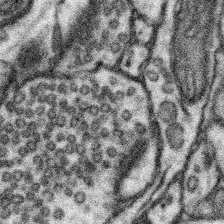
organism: Mouse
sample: Somatosensory cortex neuropil